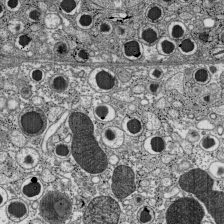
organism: C57BL Mouse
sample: Pancreatic islet